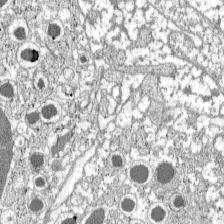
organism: C57BL Mouse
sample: Pancreatic islet